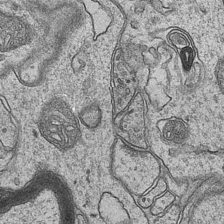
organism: Mouse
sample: CA1 Hippocampus